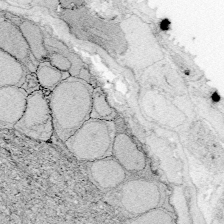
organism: Zebrafish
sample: Whole-Brain